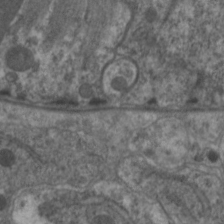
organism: C. elegans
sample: Pharynx